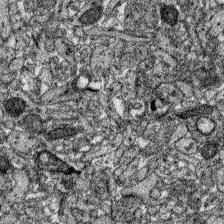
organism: Zebrafish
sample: Larval olfactory bulb